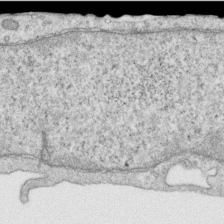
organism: Human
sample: Centriole in RPE cells